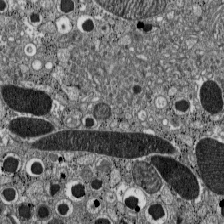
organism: C57BL Mouse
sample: Pancreatic islet